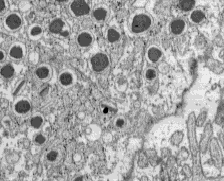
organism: C57BL Mouse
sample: Pancreatic islet